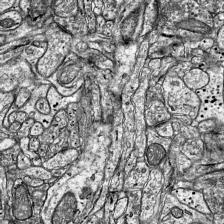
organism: Mouse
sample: Visual Cortex